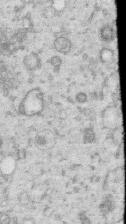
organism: Human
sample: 1205lu cells